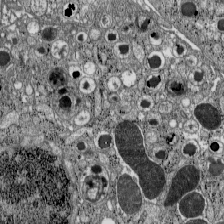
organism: C57BL Mouse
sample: Pancreatic islet